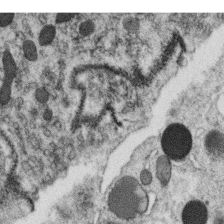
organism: C. elegans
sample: C. elegans oocyte; sperm cells